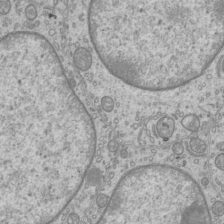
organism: Mouse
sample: Cilia; mouse epididymis